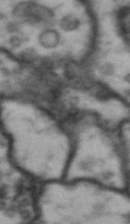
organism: Drosophila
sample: Brain